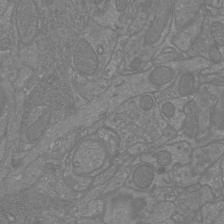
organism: Mouse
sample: Cortical neurons